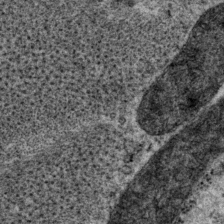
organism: P. pacificus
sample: Pharynx